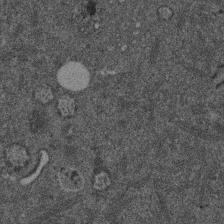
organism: Mouse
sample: Dividing mouse embryo 1 cell stage